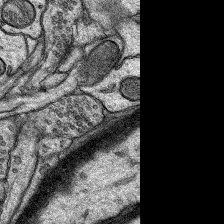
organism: Rat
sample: Hippocampus